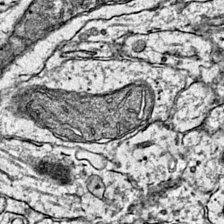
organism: Mouse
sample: Primary visual cortex